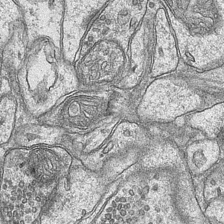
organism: Mouse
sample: CA1 Hippocampus